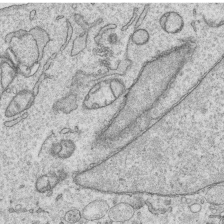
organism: Human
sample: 1205lu cells